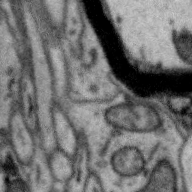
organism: Zebra finch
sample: Brain